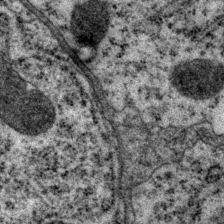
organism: P. pacificus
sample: Pharynx